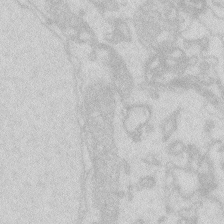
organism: Zebrafish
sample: Macrophage